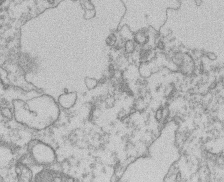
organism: Mouse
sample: T cell stromal cell synapse